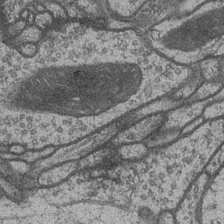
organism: Drosophila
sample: Optic medulla